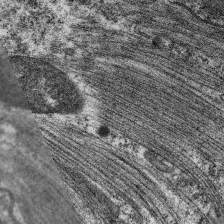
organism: C. elegans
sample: Pharynx